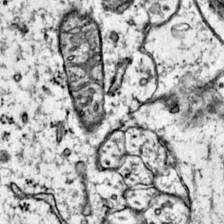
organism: Mouse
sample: Primary visual cortex